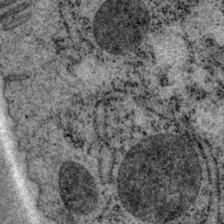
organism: P. pacificus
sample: Pharynx